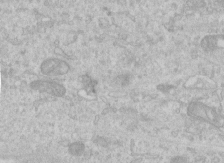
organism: Human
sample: Centriole in RPE cells